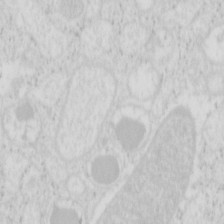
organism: Mouse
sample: Pancreas